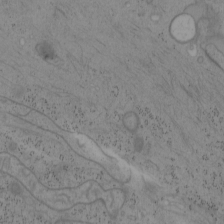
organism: Mouse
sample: OT-I killer T cells with ID8 ovarian cancer cells